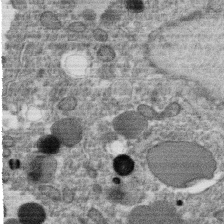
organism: C. elegans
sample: C. elegans oocyte; sperm cells